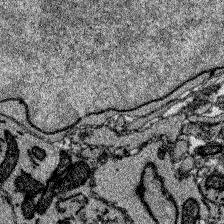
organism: Zebrafish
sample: Larval olfactory bulb